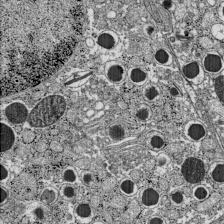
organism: C57BL Mouse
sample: Pancreatic islet